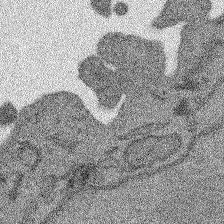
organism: Human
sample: HeLa cells